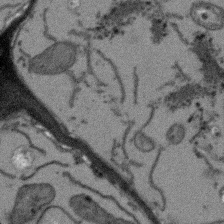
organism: Arabidopsis thaliana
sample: Root tip